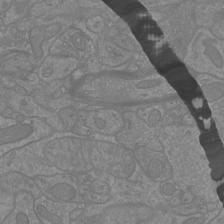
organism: Mouse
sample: Cortical neurons